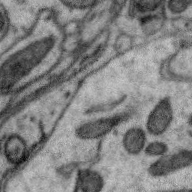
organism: Zebra finch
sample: Brain